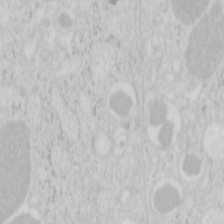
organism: Mouse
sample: Pancreas